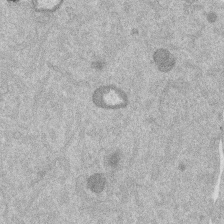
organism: Mouse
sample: Dividing mouse embryo 1 cell stage